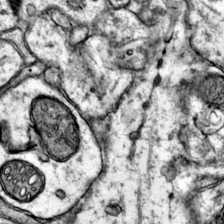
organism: Mouse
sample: Primary visual cortex